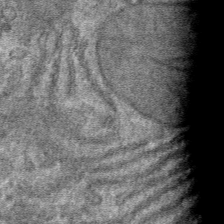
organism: Mouse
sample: Mouse hepatocytes